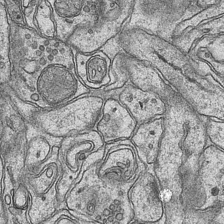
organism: Mouse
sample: CA1 Hippocampus